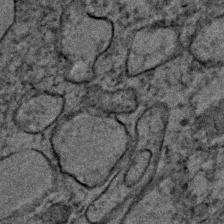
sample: Trachea